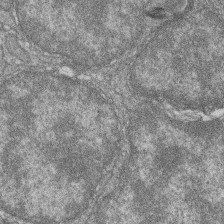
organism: Zebrafish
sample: Cilia; retinal pigment epithelium